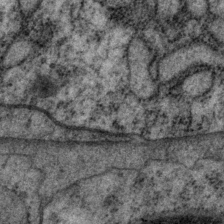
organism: P. pacificus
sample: Pharynx